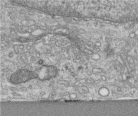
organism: Human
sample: Centriole in RPE cells